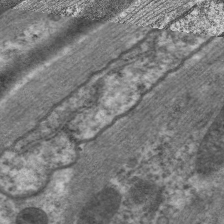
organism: C. elegans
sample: Pharynx